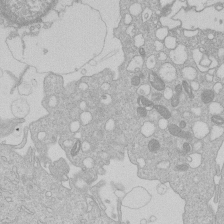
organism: Human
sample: Macrophage cells